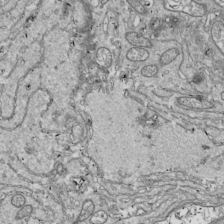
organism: Drosophila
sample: Cell division; meiosis; drosophila spermatocytes